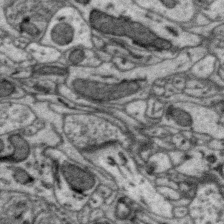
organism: Zebra finch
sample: Brain